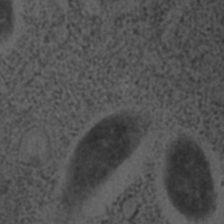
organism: C. elegans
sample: C. elegans embryo